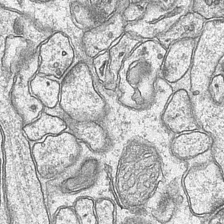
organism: Mouse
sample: CA1 Hippocampus